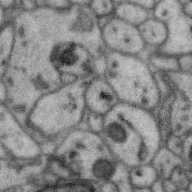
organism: Zebra finch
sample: Brain